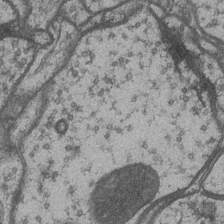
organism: Drosophila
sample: Optic medulla